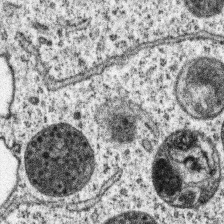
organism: Human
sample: HeLa cells